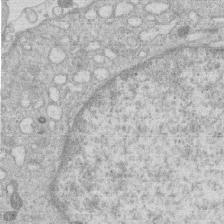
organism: Human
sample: Macrophage cells